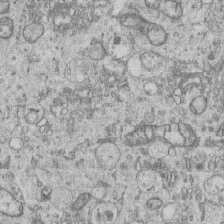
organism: Human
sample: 1205lu cells